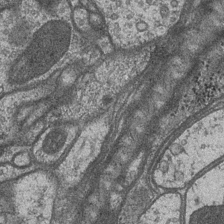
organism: Drosophila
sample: Optic medulla